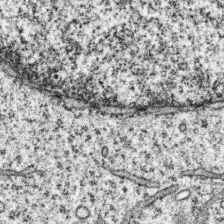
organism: Human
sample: HeLa cells